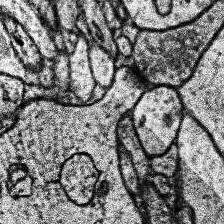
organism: Human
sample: Temporal Lobe